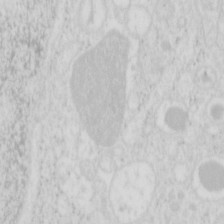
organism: Mouse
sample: Pancreas